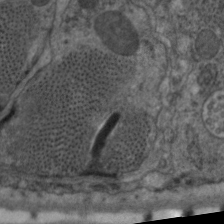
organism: C. elegans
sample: Pharynx